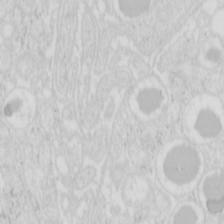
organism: Mouse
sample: Pancreas